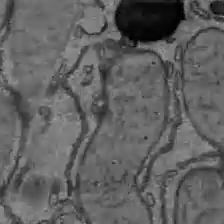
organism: C57BL Mouse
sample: Liver